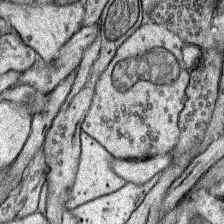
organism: Rat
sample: Hippocampus